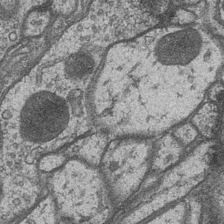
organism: Drosophila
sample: Optic medulla